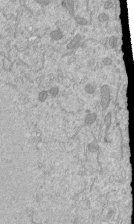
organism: Mouse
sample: ED-1 cell nuclei; centrioles